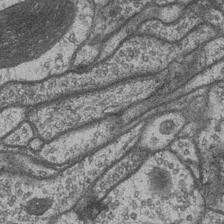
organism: Drosophila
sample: Optic medulla